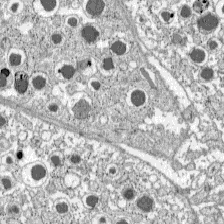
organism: C57BL Mouse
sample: Pancreatic islet